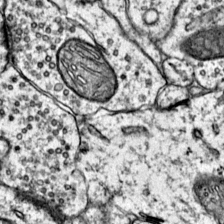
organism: Mouse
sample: Primary visual cortex